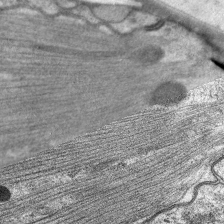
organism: C. elegans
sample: Pharynx